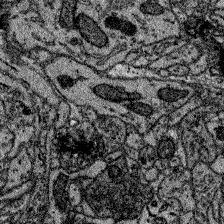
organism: Zebrafish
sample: Larval olfactory bulb